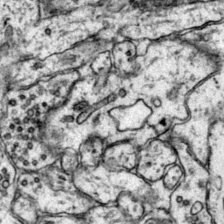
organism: Mouse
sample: Primary visual cortex